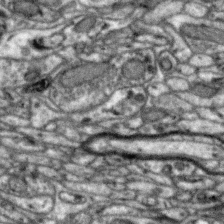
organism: Zebra finch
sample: Brain